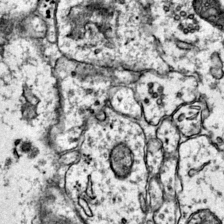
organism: Mouse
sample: Primary visual cortex